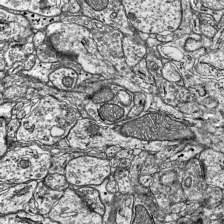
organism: Mouse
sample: Visual Cortex